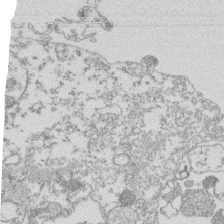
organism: Human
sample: HeLa cell HIV synapse